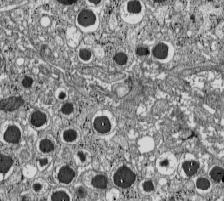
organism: C57BL Mouse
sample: Pancreatic islet